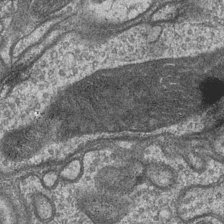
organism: Drosophila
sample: Optic medulla